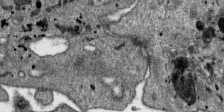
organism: Human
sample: Lung epithelial cells, uninfected (mock) control